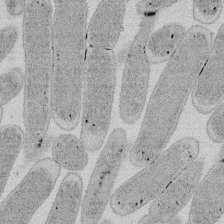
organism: E. coli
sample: Bacterial nucleoid